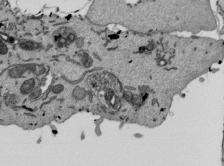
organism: Mouse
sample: ED-1 cell nuclei; centrioles